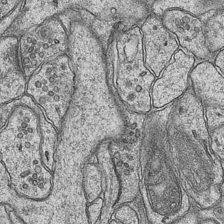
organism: Mouse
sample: CA1 Hippocampus